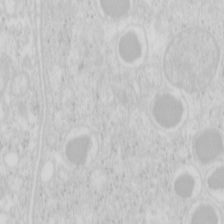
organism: Mouse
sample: Pancreas